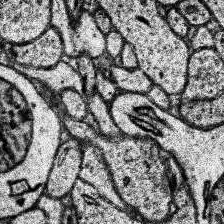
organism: Human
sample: Temporal Lobe